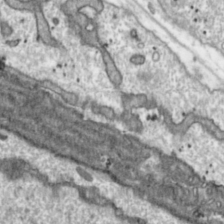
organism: Toxoplasma gondii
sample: Parasites in a vacuole inside a host cell